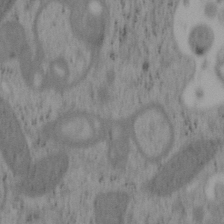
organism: Mouse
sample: OT-I killer T cells with ID8 ovarian cancer cells